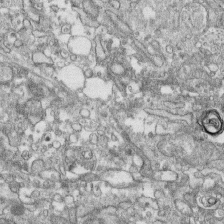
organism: Human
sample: CRL-1474